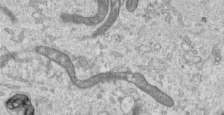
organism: Human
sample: Centriole in RPE cells